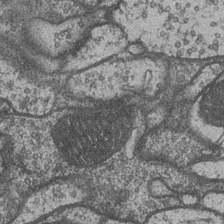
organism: Drosophila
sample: Optic medulla